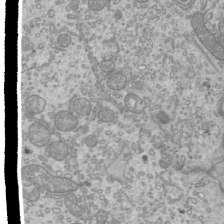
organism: Mouse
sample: Cilia; mouse epididymis